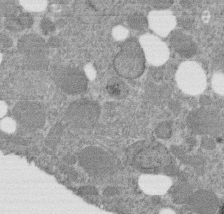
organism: C. elegans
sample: C. elegans embryo early stage